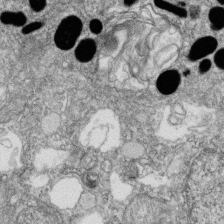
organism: Zebrafish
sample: Cilia; retinal pigment epithelium